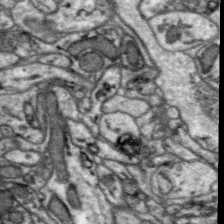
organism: Zebra finch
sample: Brain